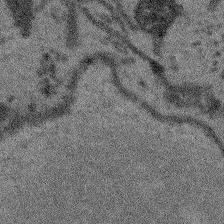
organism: Arabidopsis thaliana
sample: Root tip